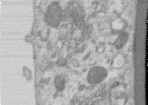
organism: Human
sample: Centriole in RPE cells